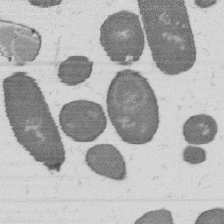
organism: B. subtilis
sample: Bacterial spore